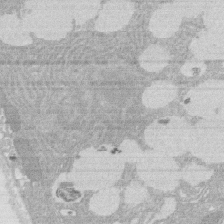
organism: Rat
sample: Salivary granule